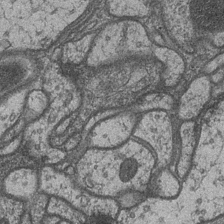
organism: Drosophila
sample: Optic medulla